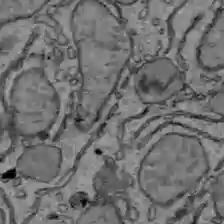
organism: C57BL Mouse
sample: Liver